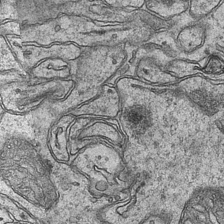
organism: Mouse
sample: CA1 Hippocampus